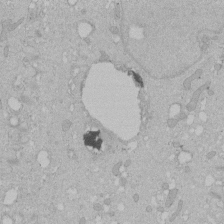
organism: Human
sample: Melanocyte Keratinocyte synapse skin construct